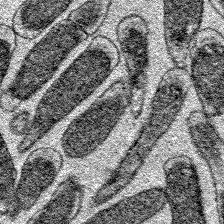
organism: E. coli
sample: E. Coli Bacteria